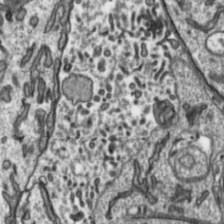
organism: Toxoplasma gondii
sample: Parasites in a vacuole inside a host cell